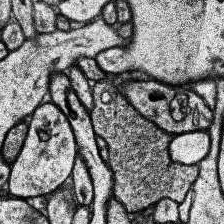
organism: Human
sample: Temporal Lobe